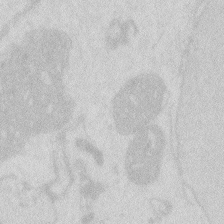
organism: Zebrafish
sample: Macrophage